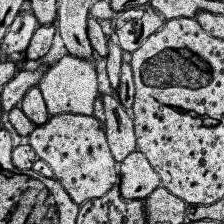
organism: Human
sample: Temporal Lobe